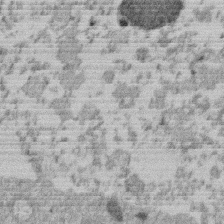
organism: Mouse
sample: Dividing mouse embryo 1 cell stage